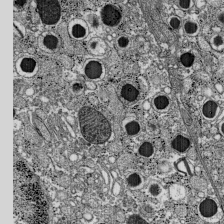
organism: C57BL Mouse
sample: Pancreatic islet